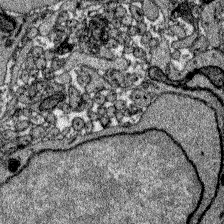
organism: Zebrafish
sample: Larval olfactory bulb